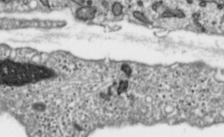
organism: Toxoplasma gondii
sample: Parasites in a vacuole inside a host cell